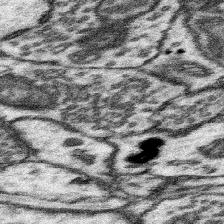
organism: Mouse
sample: Somatosensory cortex neuropil